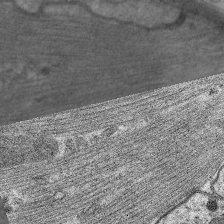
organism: C. elegans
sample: Pharynx